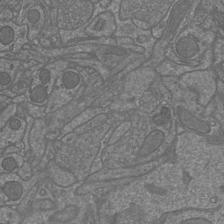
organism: Mouse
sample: Cortical neurons